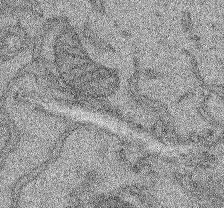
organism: Human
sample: HeLa cells